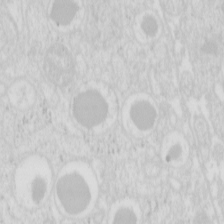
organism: Mouse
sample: Pancreas